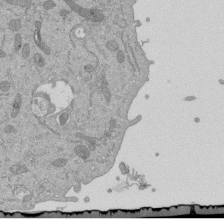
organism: Mouse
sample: ED-1 cell nuclei; centrioles